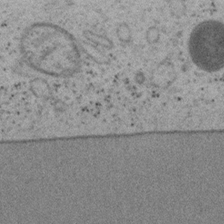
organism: Human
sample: HeLa cells